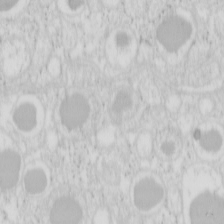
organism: Mouse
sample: Pancreas